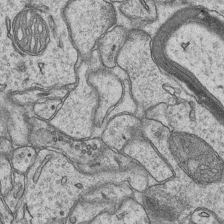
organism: Mouse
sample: CA1 Hippocampus